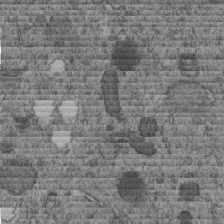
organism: C. elegans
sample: C. elegans embryo early stage